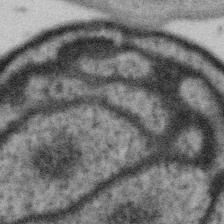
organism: Gemmata obscuriglobus